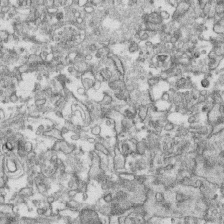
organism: Human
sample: CRL-1474